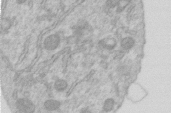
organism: Human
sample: Centriole in RPE cells